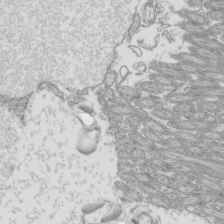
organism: Mouse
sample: Cilia; mouse epididymis